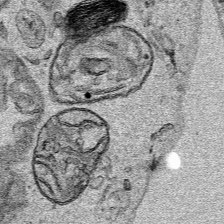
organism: Human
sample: Mitochondria in HCT116 cells